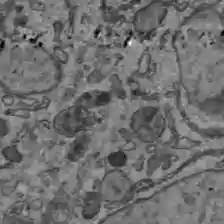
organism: C57BL Mouse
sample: Liver